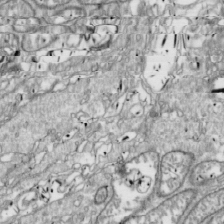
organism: Drosophila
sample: Cell division; meiosis; drosophila spermatocytes